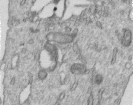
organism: Human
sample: Centriole in RPE cells